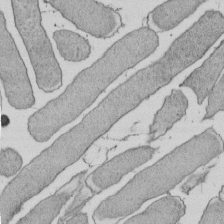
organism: E. coli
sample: Bacterial nucleoid